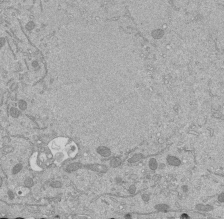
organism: Mouse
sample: ED-1 cell nuclei; centrioles